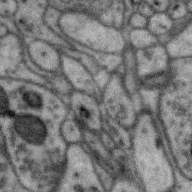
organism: Zebra finch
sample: Brain